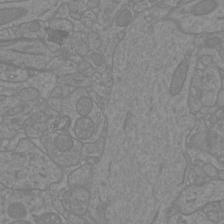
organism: Mouse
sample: Cortical neurons